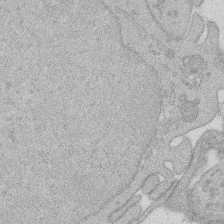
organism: Rat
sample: Salivary granule